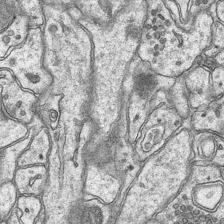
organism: Mouse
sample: CA1 Hippocampus